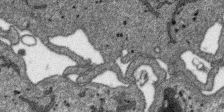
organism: Human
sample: Lung epithelial cells infected with SARS-CoV-2